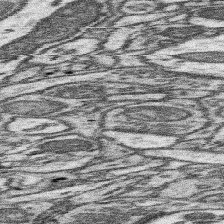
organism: Mouse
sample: Somatosensory cortex neuropil